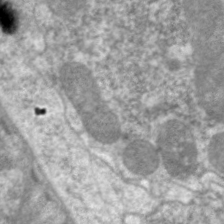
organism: C. elegans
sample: Pharynx